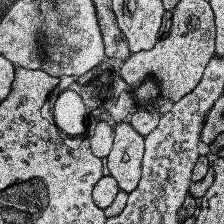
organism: Human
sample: Temporal Lobe